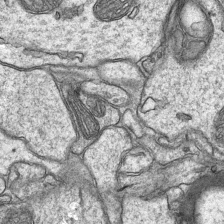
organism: Mouse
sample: CA1 Hippocampus